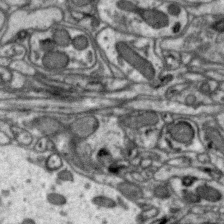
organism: Zebra finch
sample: Brain